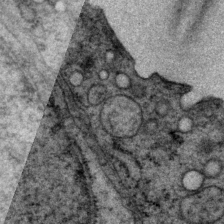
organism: P. pacificus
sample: Pharynx